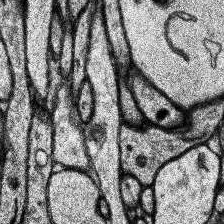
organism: Human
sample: Temporal Lobe